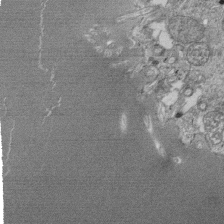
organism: Tetrahymena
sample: Cilia in tetrahymena